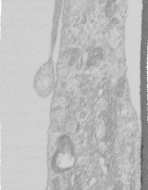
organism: Human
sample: Centriole in RPE cells